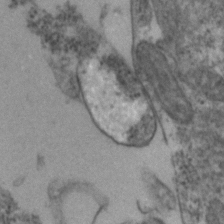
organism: Zebrafish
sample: Zebrafish embryo